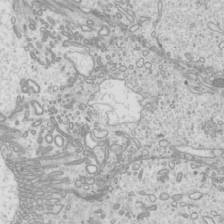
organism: Mouse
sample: Cilia; mouse epididymis